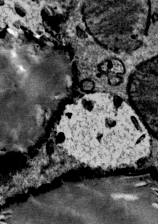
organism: Mouse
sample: Mouse Salivary gland